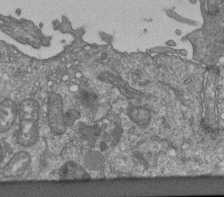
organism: Human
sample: Retinal organoid Rod and Cone cells